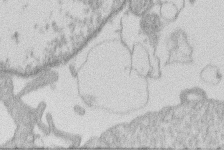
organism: Human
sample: Macrophage cells